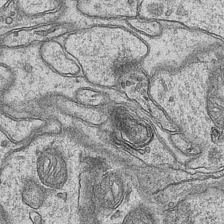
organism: Mouse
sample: CA1 Hippocampus